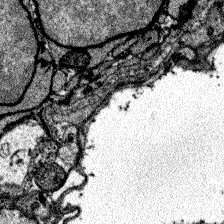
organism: Zebrafish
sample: Larval olfactory bulb